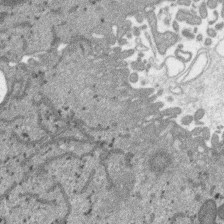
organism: Human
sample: Lung epithelial cells infected with SARS-CoV-2